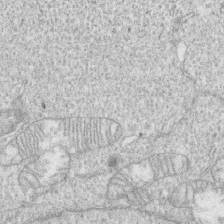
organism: Human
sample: HeLa cell HIV synapse